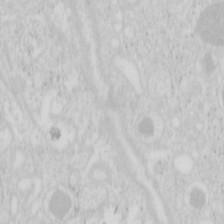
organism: Mouse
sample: Pancreas